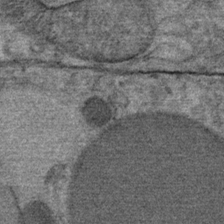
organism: Mouse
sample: Mouse Salivary gland